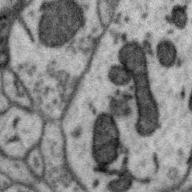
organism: Zebra finch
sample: Brain